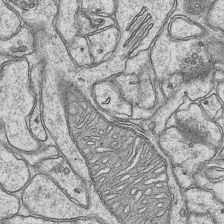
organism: Mouse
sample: CA1 Hippocampus